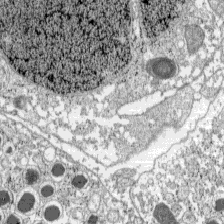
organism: C57BL Mouse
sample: Pancreatic islet